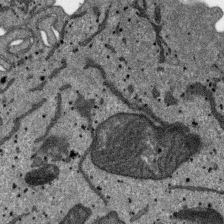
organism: Human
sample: Lung epithelial cells, uninfected (mock) control